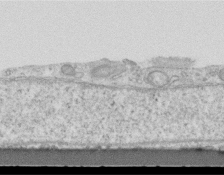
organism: Mouse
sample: Centriole in ependymal cells